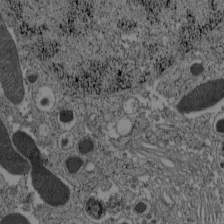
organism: C57BL Mouse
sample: Pancreatic islet